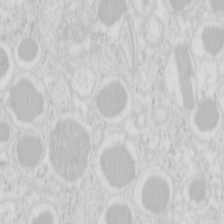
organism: Mouse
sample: Pancreas